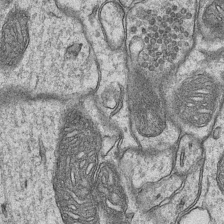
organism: Mouse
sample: CA1 Hippocampus